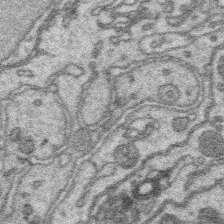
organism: Platynereis dumerilii